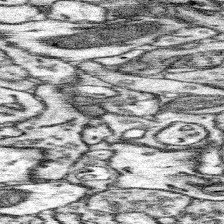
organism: Mouse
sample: Somatosensory cortex neuropil